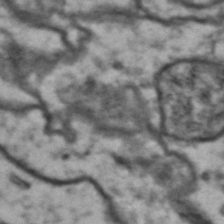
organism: Drosophila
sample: Brain